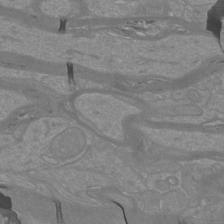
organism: Mouse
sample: Cortical neurons